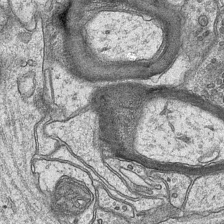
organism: Mouse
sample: CA1 Hippocampus